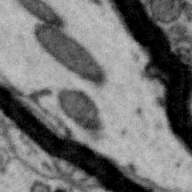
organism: Zebra finch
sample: Brain